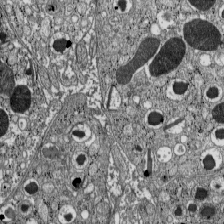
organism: C57BL Mouse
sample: Pancreatic islet